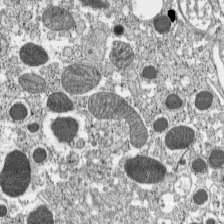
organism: C57BL Mouse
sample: Pancreatic islet